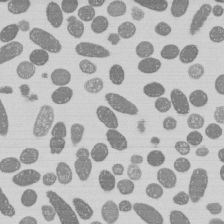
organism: E. coli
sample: Bacterial nucleoid